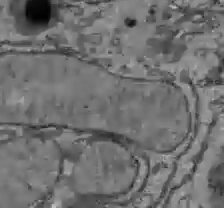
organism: C57BL Mouse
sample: Liver